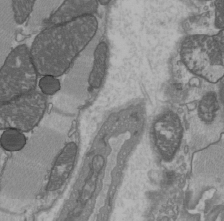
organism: C57BL Mouse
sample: Heart